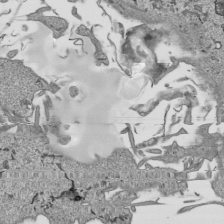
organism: Human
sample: Mitochondria in HCT116 cells